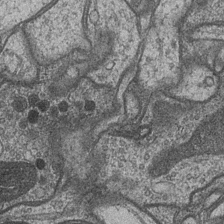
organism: Drosophila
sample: Optic medulla